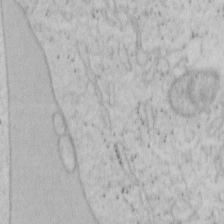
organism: Human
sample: HeLa cells